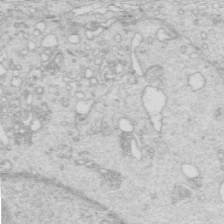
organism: Mouse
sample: Multiciliated cells